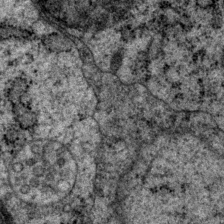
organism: P. pacificus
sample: Pharynx